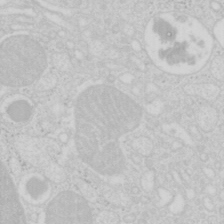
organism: Mouse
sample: Pancreas